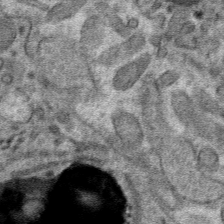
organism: Mouse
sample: Mouse hepatocytes